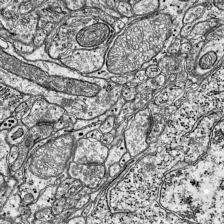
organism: Mouse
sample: Visual Cortex